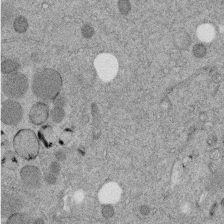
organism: C. elegans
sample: C. elegans embryo early stage